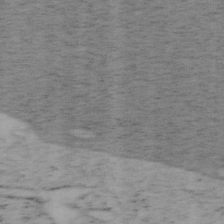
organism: Mouse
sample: OT-I killer T cells with ID8 ovarian cancer cells